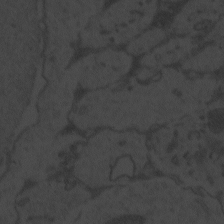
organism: Zebrafish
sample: Macrophage infected with Toxoplasma gondii